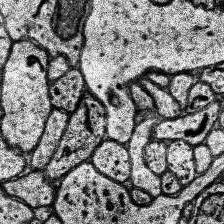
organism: Human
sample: Temporal Lobe